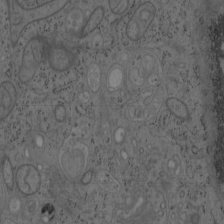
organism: Mouse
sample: OT-I killer T cells with ID8 ovarian cancer cells